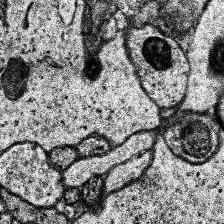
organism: Human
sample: Temporal Lobe